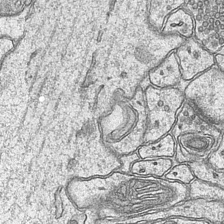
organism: Mouse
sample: CA1 Hippocampus